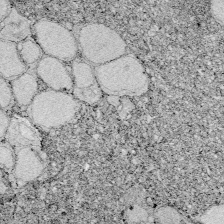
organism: Zebrafish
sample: Whole-Brain